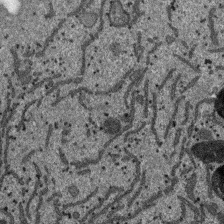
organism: Human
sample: Lung epithelial cells infected with SARS-CoV-2